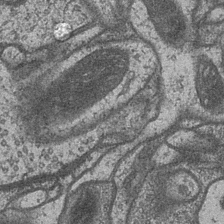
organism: Drosophila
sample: Optic medulla